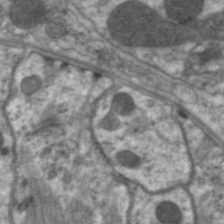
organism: C. elegans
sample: Pharynx